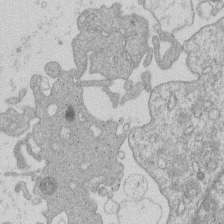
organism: Human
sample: Macrophage cells